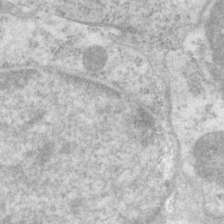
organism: P. pacificus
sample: Pharynx